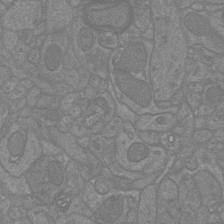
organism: Mouse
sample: Cortical neurons